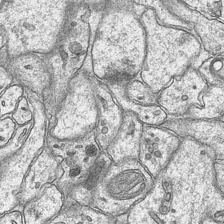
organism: Mouse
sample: CA1 Hippocampus